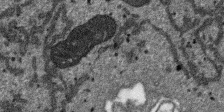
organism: Human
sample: Lung epithelial cells infected with SARS-CoV-2